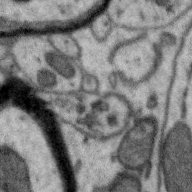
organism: Zebra finch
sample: Brain